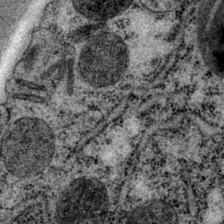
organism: P. pacificus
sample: Pharynx